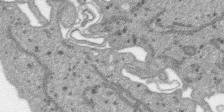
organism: Human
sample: Lung epithelial cells infected with SARS-CoV-2